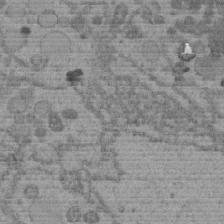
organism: C. elegans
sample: C. elegans embryo early stage